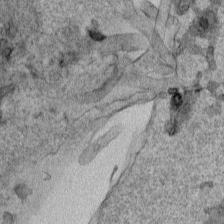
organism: Human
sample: Mitochondria in HCT116 cells